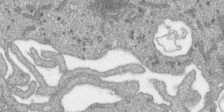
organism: Human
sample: Lung epithelial cells infected with SARS-CoV-2